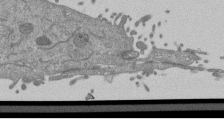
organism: Mouse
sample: ED-1 cell nuclei; centrioles